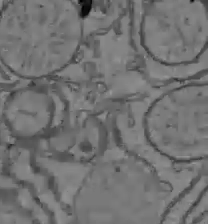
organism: C57BL Mouse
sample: Liver